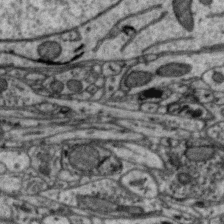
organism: Zebra finch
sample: Brain